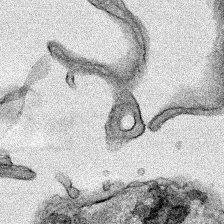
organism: Human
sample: Mitochondria in HCT116 cells